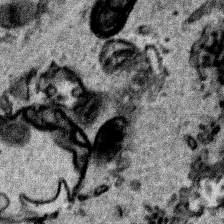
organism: Human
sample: Mitochondria in HCT116 cells